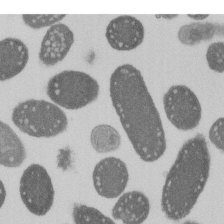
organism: E. coli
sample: Bacterial nucleoid